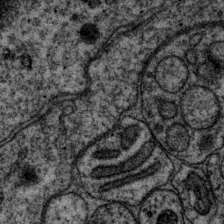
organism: P. pacificus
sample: Pharynx